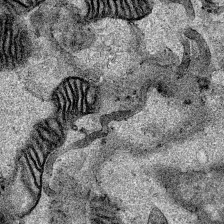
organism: Human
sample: Mitochondria in HCT116 cells